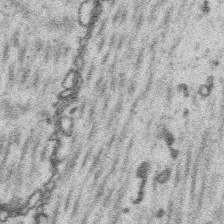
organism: Platynereis dumerilii